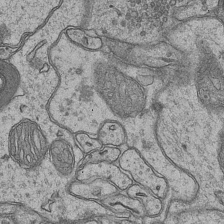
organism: Mouse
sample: CA1 Hippocampus